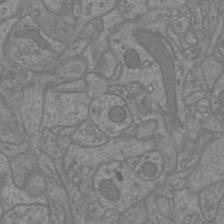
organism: Mouse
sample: Cortical neurons